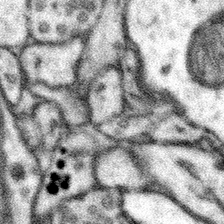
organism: Mouse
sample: Somatosensory cortex neuropil